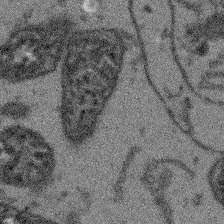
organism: Arabidopsis thaliana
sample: Root tip